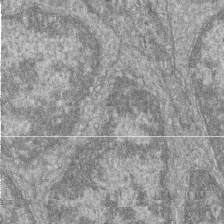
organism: Zebrafish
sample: Cilia; retinal pigment epithelium